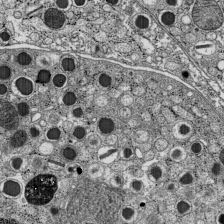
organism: C57BL Mouse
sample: Pancreatic islet